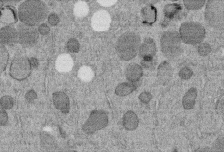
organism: C. elegans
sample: C. elegans embryo early stage